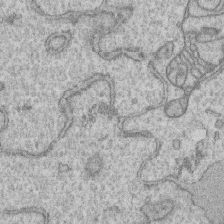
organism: Human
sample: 1205lu cells